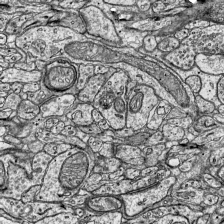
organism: Mouse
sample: Visual Cortex